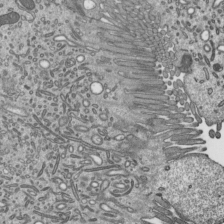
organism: Mouse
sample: Mouse epididymis efferent ductule cilia